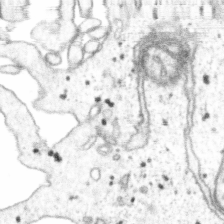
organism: Human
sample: HeLa cells